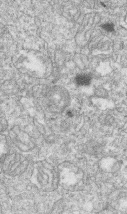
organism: Human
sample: HeLa cell HIV synapse